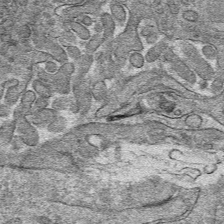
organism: Mouse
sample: Mouse hepatocytes